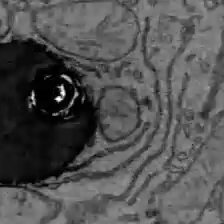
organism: C57BL Mouse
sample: Liver